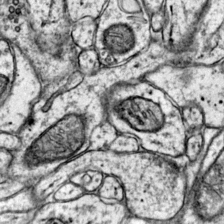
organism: Mouse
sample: Primary visual cortex